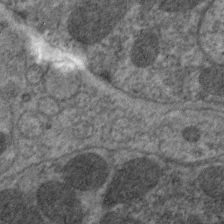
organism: C. elegans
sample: Pharynx